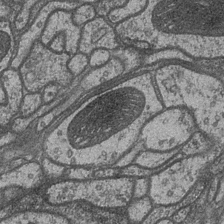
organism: Drosophila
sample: Optic medulla